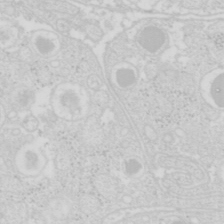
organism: Mouse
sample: Pancreas